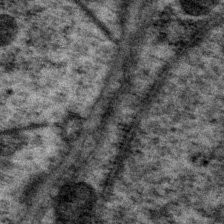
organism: P. pacificus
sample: Pharynx